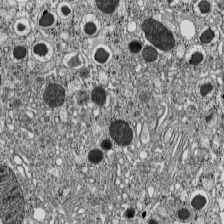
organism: C57BL Mouse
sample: Pancreatic islet